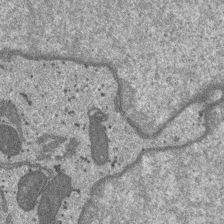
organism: Human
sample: Lung epithelial cells infected with SARS-CoV-2